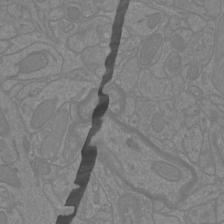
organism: Mouse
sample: Cortical neurons